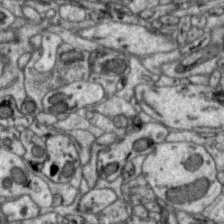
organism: Zebra finch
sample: Brain